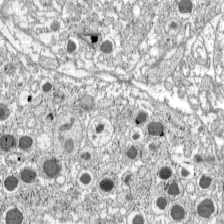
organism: C57BL Mouse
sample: Pancreatic islet